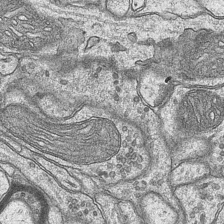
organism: Mouse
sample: CA1 Hippocampus